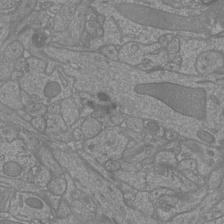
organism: Mouse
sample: Cortical neurons